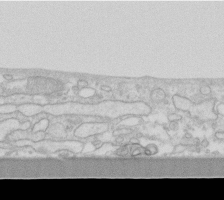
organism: Human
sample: Fibroblast cells